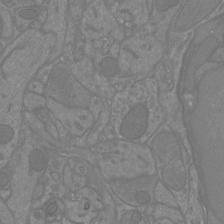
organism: Mouse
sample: Cortical neurons